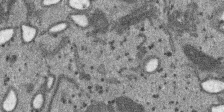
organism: Human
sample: Lung epithelial cells infected with SARS-CoV-2